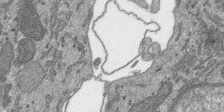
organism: Human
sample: Lung epithelial cells infected with SARS-CoV-2